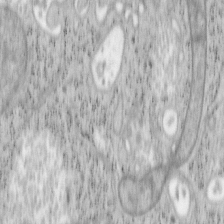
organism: Human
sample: HeLa cells